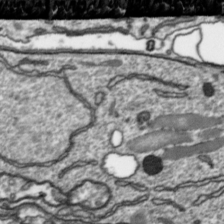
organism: Toxoplasma gondii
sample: Parasites in a vacuole inside a host cell